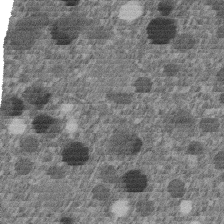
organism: C. elegans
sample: C. elegans embryo early stage